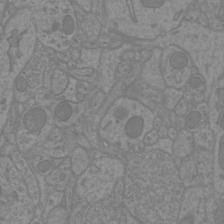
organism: Mouse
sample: Cortical neurons